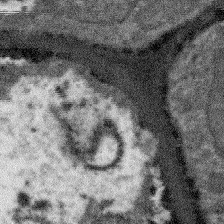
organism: Arabidopsis thaliana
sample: Root tip